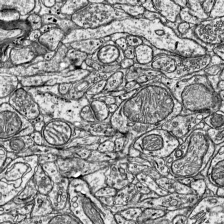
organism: Mouse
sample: Visual Cortex